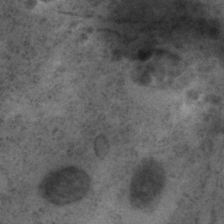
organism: C. elegans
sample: C. elegans embryo